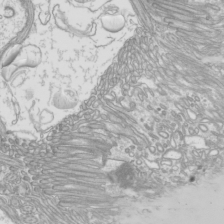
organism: Mouse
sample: Cilia; mouse epididymis